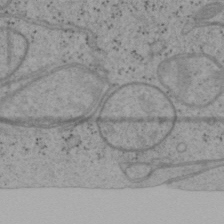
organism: Human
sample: HeLa cells